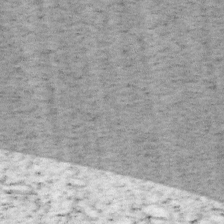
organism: Mouse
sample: OT-I killer T cells with ID8 ovarian cancer cells